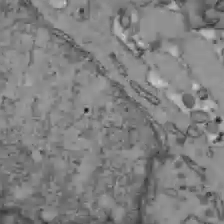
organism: C57BL Mouse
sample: Liver